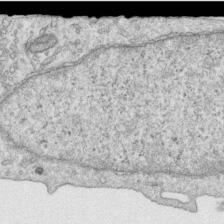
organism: Human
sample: Centriole in RPE cells